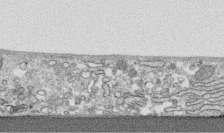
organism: Human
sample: CRL-1474